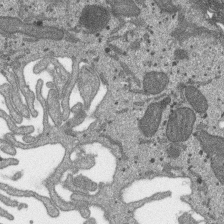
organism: Human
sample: Lung epithelial cells infected with SARS-CoV-2